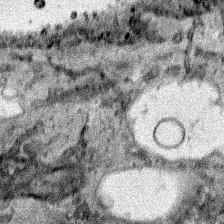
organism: Human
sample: Mitochondria in HCT116 cells